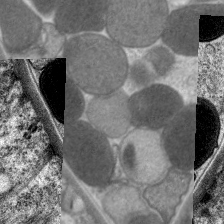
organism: C. elegans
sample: Pharynx